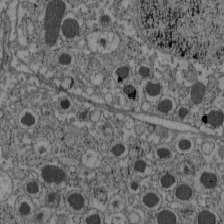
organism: C57BL Mouse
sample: Pancreatic islet